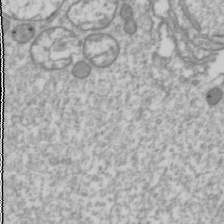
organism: Drosophila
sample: Cell division; meiosis; drosophila spermatocytes